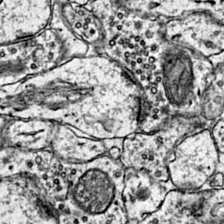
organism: Mouse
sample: Primary visual cortex